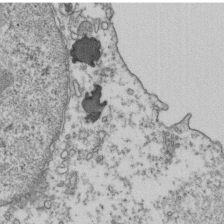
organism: Human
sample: Activated Jurkat CD4+ T cells